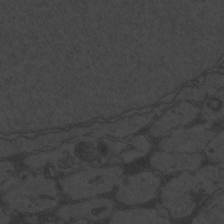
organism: Zebrafish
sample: Macrophage infected with Toxoplasma gondii